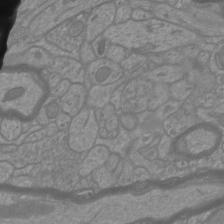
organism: Mouse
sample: Cortical neurons